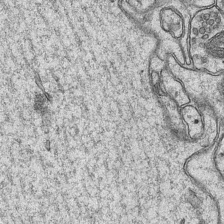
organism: Mouse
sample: CA1 Hippocampus